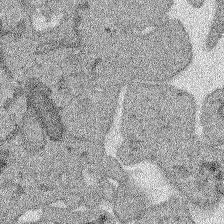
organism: Human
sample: HeLa cells